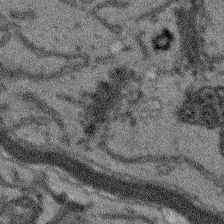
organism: Arabidopsis thaliana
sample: Root tip